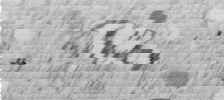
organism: C. elegans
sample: C. elegans embryo early stage